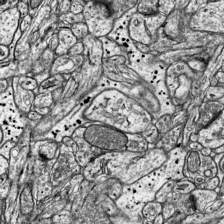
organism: Mouse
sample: Visual Cortex